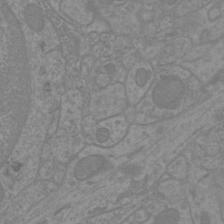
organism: Mouse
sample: Cortical neurons